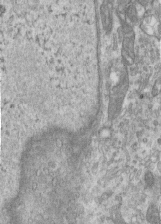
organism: Human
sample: Centriole in RPE cells